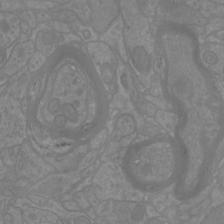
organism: Mouse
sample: Cortical neurons